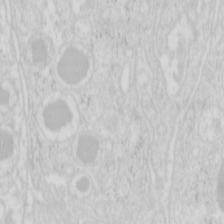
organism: Mouse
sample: Pancreas